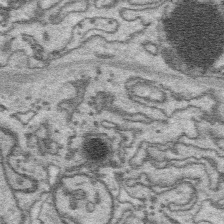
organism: Platynereis dumerilii